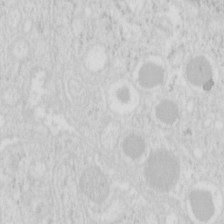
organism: Mouse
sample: Pancreas